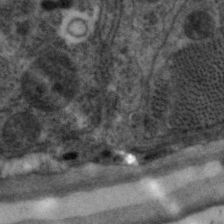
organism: C. elegans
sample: Pharynx